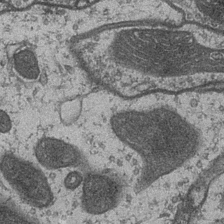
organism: Drosophila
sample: Optic medulla